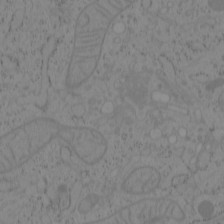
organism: Human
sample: HeLa cells